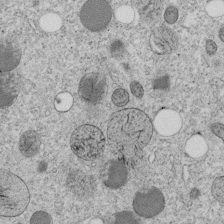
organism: C. elegans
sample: C. elegans embryo early stage